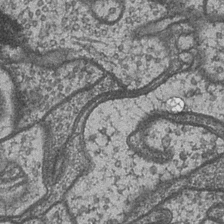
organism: Drosophila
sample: Optic medulla